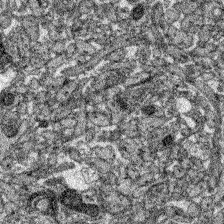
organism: Zebrafish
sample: Larval olfactory bulb